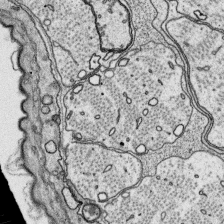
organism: Platynereis dumerilii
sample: Parapodia